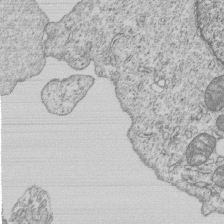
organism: Human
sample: MDA-MB-231 cells